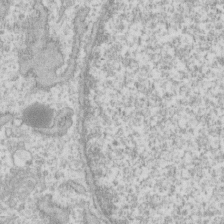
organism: Human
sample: Fibroblast cells